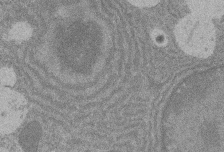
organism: Rat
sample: Salivary granule